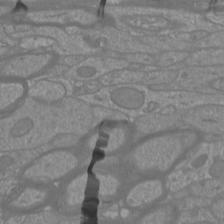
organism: Mouse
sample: Cortical neurons